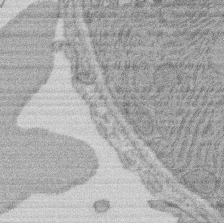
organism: Rat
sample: Salivary granule